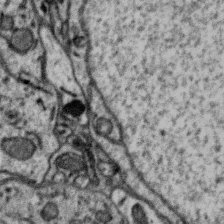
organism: Zebra finch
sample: Brain